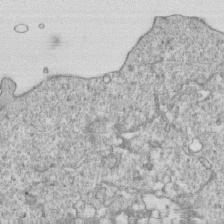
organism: Mouse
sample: Activated OT-1 CD8+ T cells